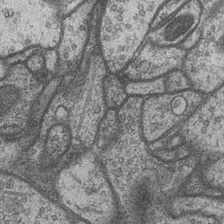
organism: Drosophila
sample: Optic medulla